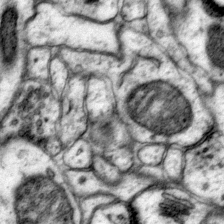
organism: Mouse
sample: Primary visual cortex